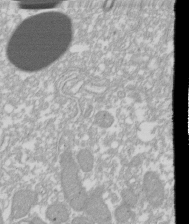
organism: Xenopus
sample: Cilia; centrioles in frog embryo cells